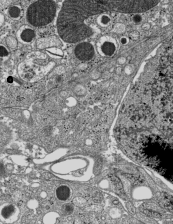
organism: C57BL Mouse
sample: Pancreatic islet